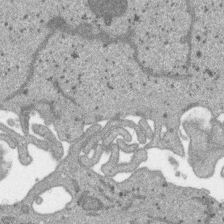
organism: Human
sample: Lung epithelial cells infected with SARS-CoV-2